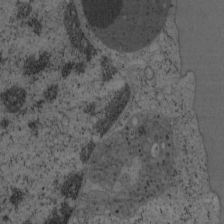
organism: Mouse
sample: OT-I killer T cells with ID8 ovarian cancer cells